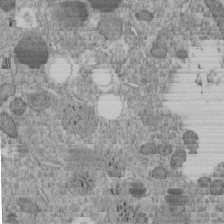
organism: C. elegans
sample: C. elegans embryo early stage